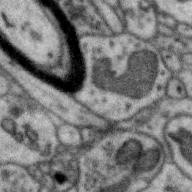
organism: Zebra finch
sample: Brain